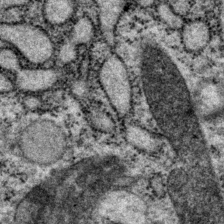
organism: P. pacificus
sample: Pharynx